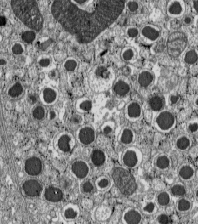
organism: C57BL Mouse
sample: Pancreatic islet